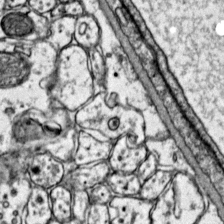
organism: Mouse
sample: Primary visual cortex